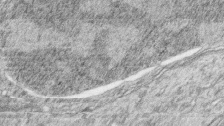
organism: Zebrafish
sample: synaptic ribbons in rod cells and cone cells